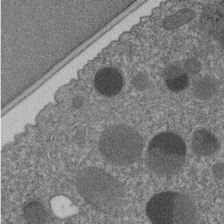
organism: C. elegans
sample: C. elegans embryo early stage